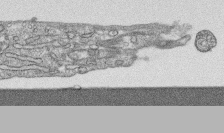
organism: Human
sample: CRL-1474